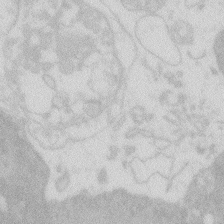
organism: Zebrafish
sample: Macrophage